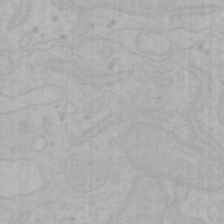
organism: Mouse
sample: Choroid plexus